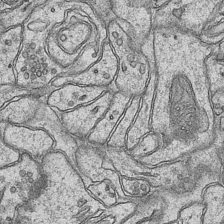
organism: Mouse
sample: CA1 Hippocampus